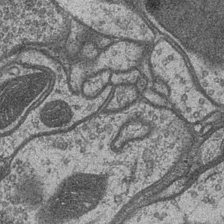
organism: Drosophila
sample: Optic medulla